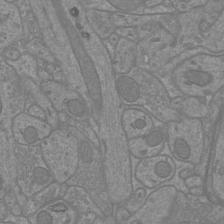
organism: Mouse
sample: Cortical neurons